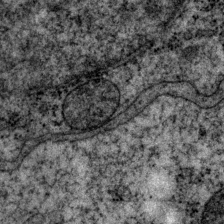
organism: P. pacificus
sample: Pharynx